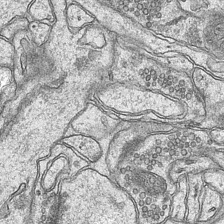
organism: Mouse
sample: CA1 Hippocampus